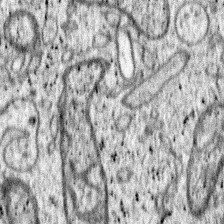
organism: Human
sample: HeLa cells